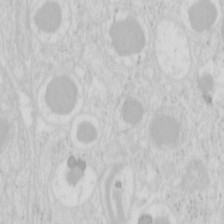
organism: Mouse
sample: Pancreas